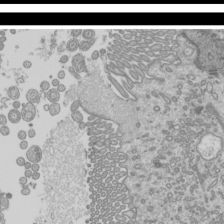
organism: Mouse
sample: Cilia; mouse epididymis